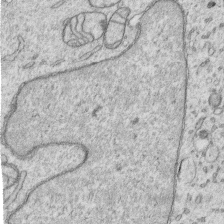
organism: Human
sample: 1205lu cells